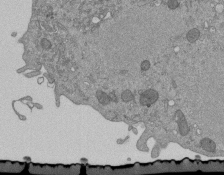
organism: Mouse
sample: ED-1 cell nuclei; centrioles